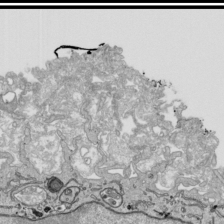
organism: Human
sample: Mitochondria in HCT116 cells